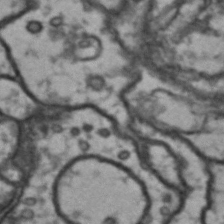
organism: Drosophila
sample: Brain